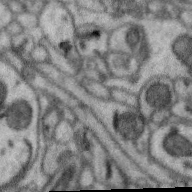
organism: Zebra finch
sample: Brain